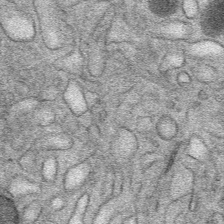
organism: Mouse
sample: Mouse Salivary gland